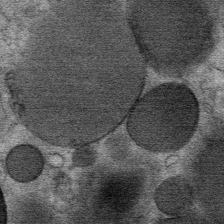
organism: Mouse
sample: Mouse Salivary gland